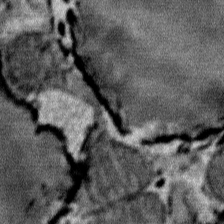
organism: Mouse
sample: Mouse Salivary gland